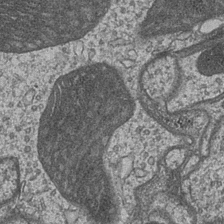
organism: Drosophila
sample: Optic medulla